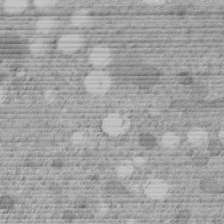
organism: C. elegans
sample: C. elegans embryo early stage